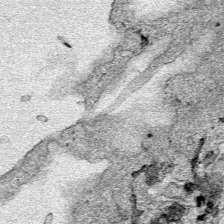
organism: Human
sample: Mitochondria in HCT116 cells